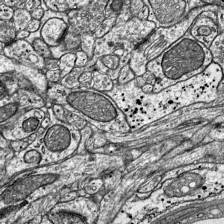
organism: Mouse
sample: Visual Cortex